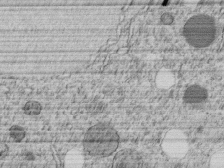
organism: C. elegans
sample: C. elegans embryo early stage